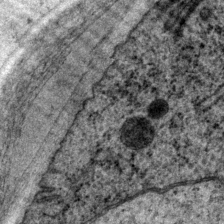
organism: P. pacificus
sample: Pharynx